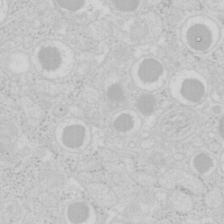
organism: Mouse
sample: Pancreas